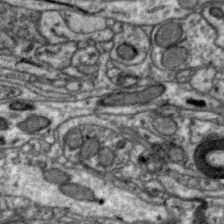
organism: Zebra finch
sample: Brain